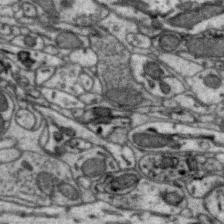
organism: Zebra finch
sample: Brain